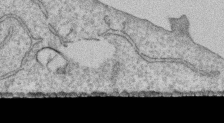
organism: Human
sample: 1205lu cells